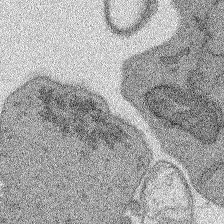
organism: Human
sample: HeLa cells